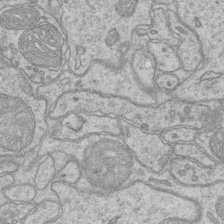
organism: Mouse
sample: CA1 Hippocampus